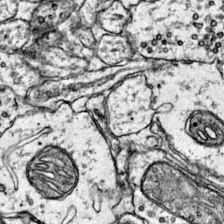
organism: Mouse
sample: Primary visual cortex